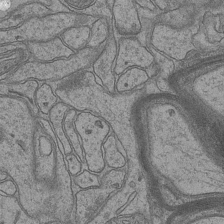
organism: Mouse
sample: CA1 Hippocampus